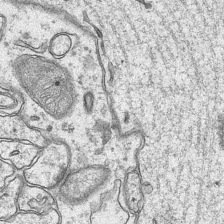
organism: Mouse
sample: CA1 Hippocampus